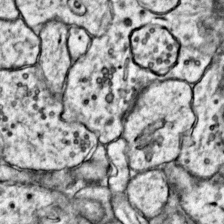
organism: Mouse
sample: Primary visual cortex